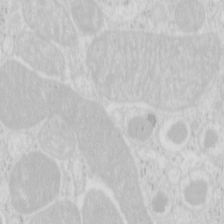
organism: Mouse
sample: Pancreas